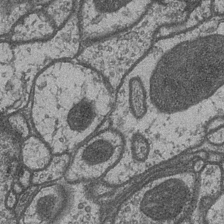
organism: Drosophila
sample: Optic medulla